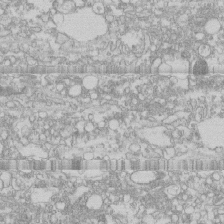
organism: Human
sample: CRL-1474